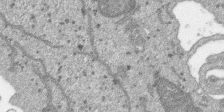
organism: Human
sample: Lung epithelial cells infected with SARS-CoV-2